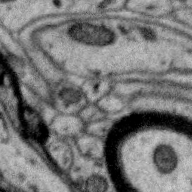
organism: Zebra finch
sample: Brain